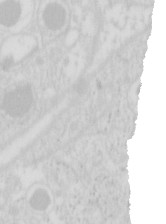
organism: Mouse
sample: Pancreas